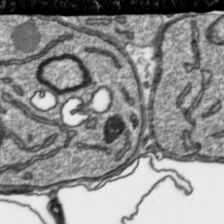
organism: Toxoplasma gondii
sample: Parasites in a vacuole inside a host cell